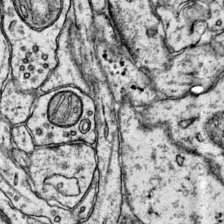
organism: Mouse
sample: Primary visual cortex